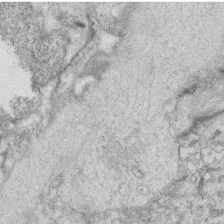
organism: C. elegans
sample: C. elegans oocyte; sperm cells